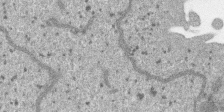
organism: Human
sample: Lung epithelial cells infected with SARS-CoV-2